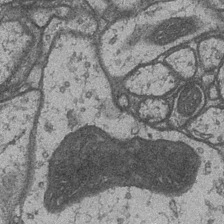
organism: Drosophila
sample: Optic medulla